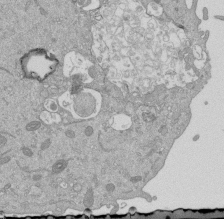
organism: Mouse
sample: ED-1 cell nuclei; centrioles